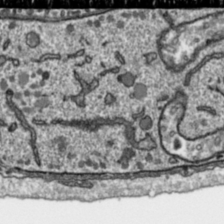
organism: Toxoplasma gondii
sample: Parasites in a vacuole inside a host cell